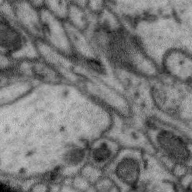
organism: Zebra finch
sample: Brain